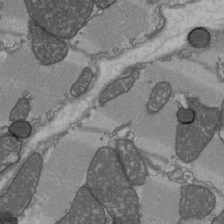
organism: C57BL Mouse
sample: Heart